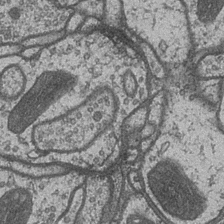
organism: Drosophila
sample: Optic medulla